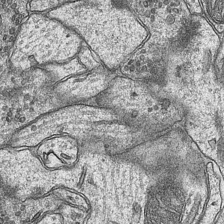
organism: Mouse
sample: CA1 Hippocampus